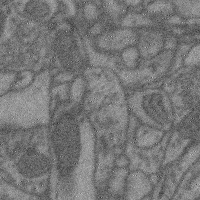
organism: Mouse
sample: Cerebral cortex